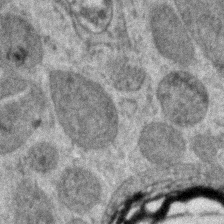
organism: Zebrafish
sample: Zebrafish embryo